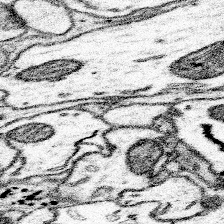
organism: Mouse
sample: Somatosensory cortex neuropil